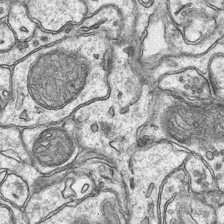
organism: Mouse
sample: CA1 Hippocampus